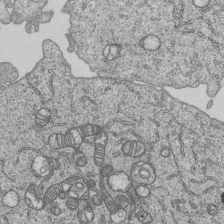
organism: Human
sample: MDA-MB-231 cells